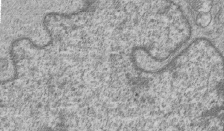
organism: Human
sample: MDA-MB-231 cells